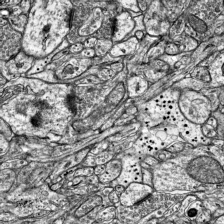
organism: Mouse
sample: Visual Cortex